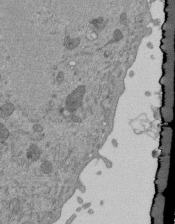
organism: Mouse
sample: ED-1 cell nuclei; centrioles